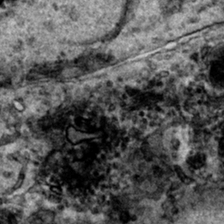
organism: Human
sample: Mitochondria in HCT116 cells